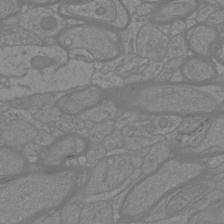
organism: Mouse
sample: Cortical neurons